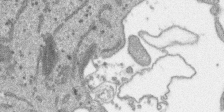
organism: Human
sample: Lung epithelial cells infected with SARS-CoV-2